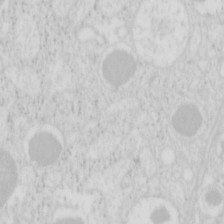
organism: Mouse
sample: Pancreas